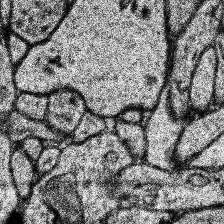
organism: Human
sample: Temporal Lobe